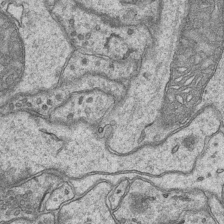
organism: Mouse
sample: CA1 Hippocampus